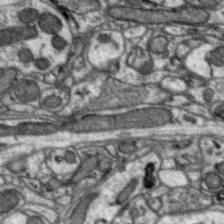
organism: Zebra finch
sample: Brain